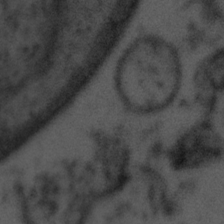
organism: Tuwongella immobilis